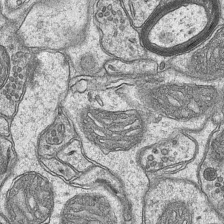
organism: Mouse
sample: CA1 Hippocampus